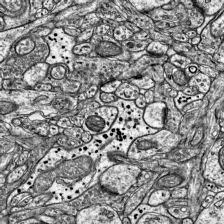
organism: Mouse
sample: Visual Cortex